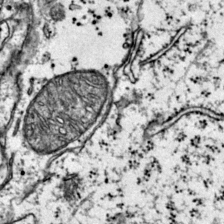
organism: Mouse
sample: Primary visual cortex